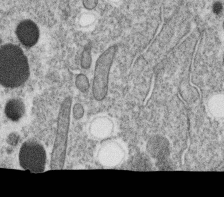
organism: C. elegans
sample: C. elegans oocyte; sperm cells